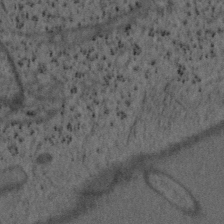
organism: Human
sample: HeLa cells